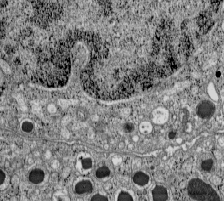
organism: C57BL Mouse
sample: Pancreatic islet